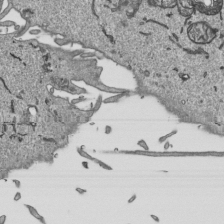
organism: Human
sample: Mitochondria in HCT116 cells